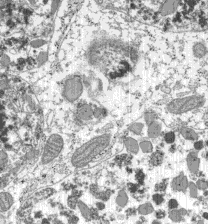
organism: C57BL Mouse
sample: Pancreatic islet